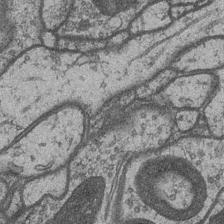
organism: Drosophila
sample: Optic medulla